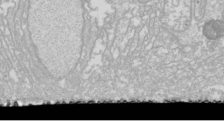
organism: Drosophila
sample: Cell division; meiosis; drosophila spermatocytes